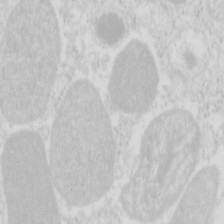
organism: Mouse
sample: Pancreas